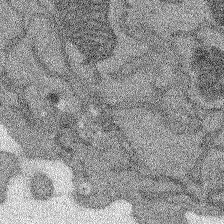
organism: Human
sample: HeLa cells